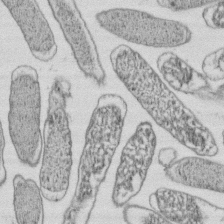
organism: E. coli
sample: Bacterial nucleoid